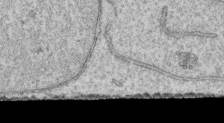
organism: Human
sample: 1205lu cells